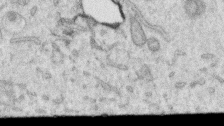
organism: Human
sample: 1205lu cells